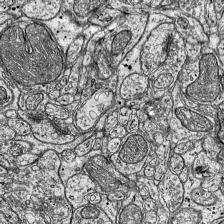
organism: Mouse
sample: Visual Cortex